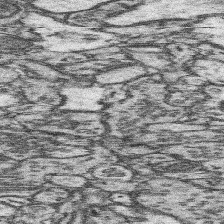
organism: Mouse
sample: Somatosensory cortex neuropil